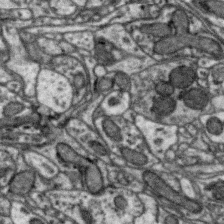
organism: Zebra finch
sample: Brain